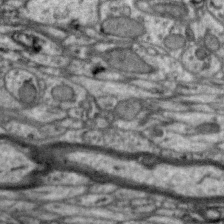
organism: Zebra finch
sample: Brain